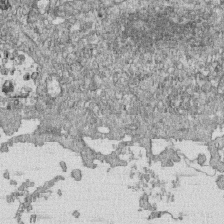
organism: Human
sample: HeLa cell HIV synapse